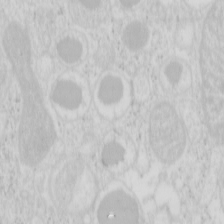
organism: Mouse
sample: Pancreas